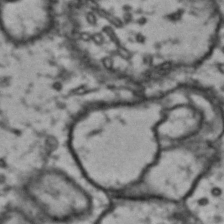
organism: Drosophila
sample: Brain